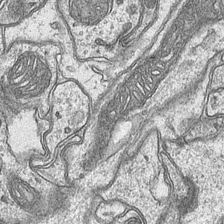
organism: Mouse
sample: CA1 Hippocampus